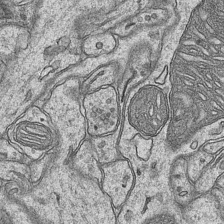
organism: Mouse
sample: CA1 Hippocampus